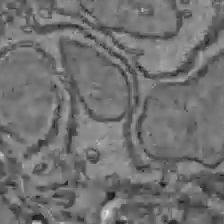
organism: C57BL Mouse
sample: Liver